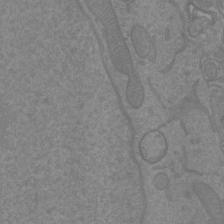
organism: Mouse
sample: Cortical neurons